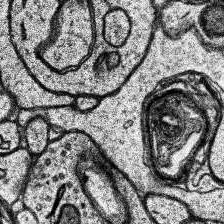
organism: Human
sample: Temporal Lobe